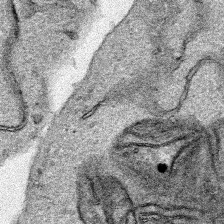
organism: Human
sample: Mitochondria in HCT116 cells